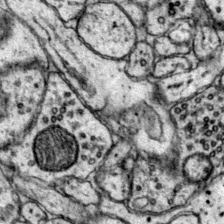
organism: Mouse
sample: Primary visual cortex